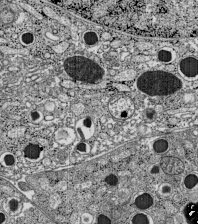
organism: C57BL Mouse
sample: Pancreatic islet